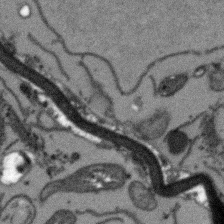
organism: Arabidopsis thaliana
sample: Root tip